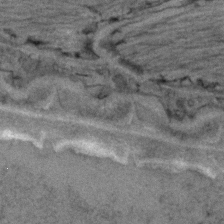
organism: C. elegans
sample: C. elegans embryo